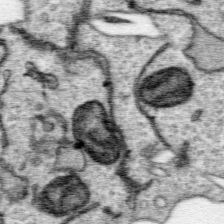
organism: Human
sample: HeLa cells